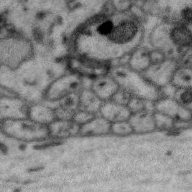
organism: Zebra finch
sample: Brain